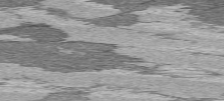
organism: C57BL Mouse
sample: Heart